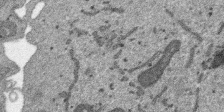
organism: Human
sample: Lung epithelial cells infected with SARS-CoV-2